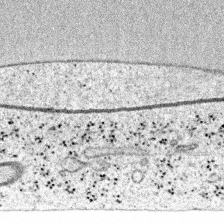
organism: Human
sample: HeLa cells